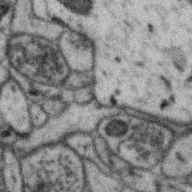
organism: Zebra finch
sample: Brain